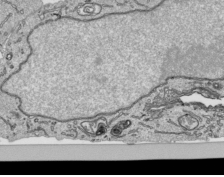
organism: Human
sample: Mitochondria in HCT116 cells